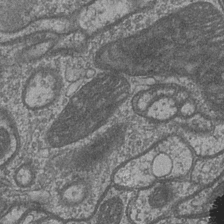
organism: Drosophila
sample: Optic medulla